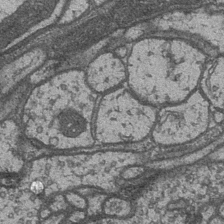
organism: Drosophila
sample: Optic medulla